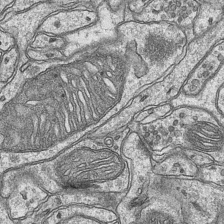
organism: Mouse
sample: CA1 Hippocampus